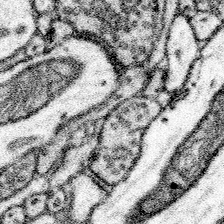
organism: Mouse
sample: Somatosensory cortex neuropil